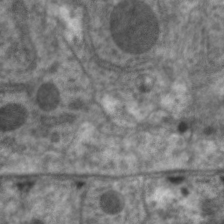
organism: C. elegans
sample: Pharynx